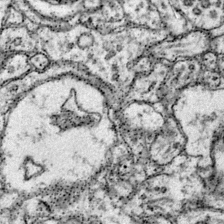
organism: Mouse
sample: Primary visual cortex